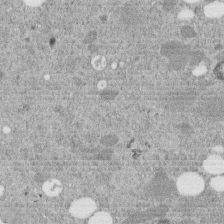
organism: C. elegans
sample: C. elegans embryo early stage